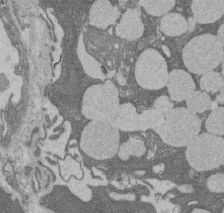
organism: Rat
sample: Salivary granule